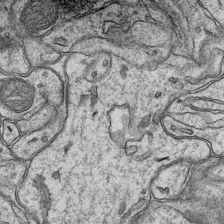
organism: Mouse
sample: CA1 Hippocampus